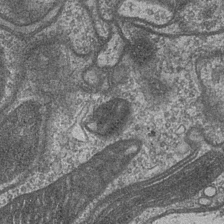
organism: Drosophila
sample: Optic medulla